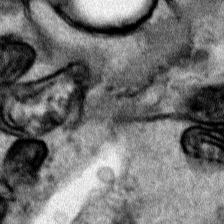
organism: Human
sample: Mitochondria in HCT116 cells